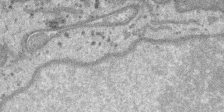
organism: Human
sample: Lung epithelial cells infected with SARS-CoV-2